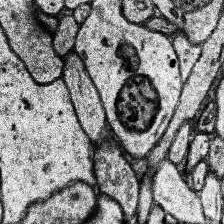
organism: Human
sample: Temporal Lobe